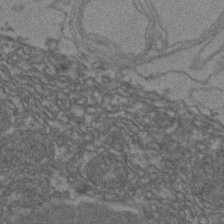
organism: Zebrafish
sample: Zebrafish embryo